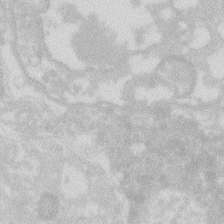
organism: Zebrafish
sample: Macrophage